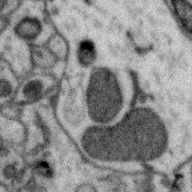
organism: Zebra finch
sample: Brain